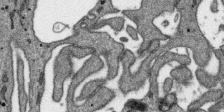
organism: Human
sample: Lung epithelial cells, uninfected (mock) control